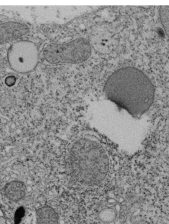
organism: Tetrahymena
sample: Cilia in tetrahymena